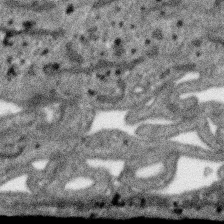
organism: Human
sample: Lung epithelial cells infected with SARS-CoV-2